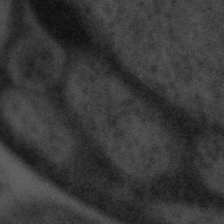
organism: Tuwongella immobilis